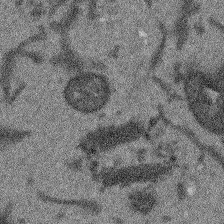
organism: Arabidopsis thaliana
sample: Root tip